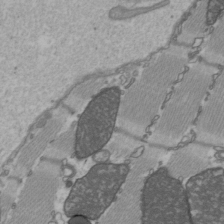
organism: C57BL Mouse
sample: Heart